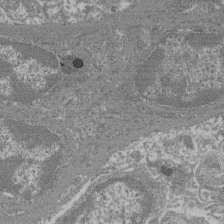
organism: Mouse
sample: Glomerulus